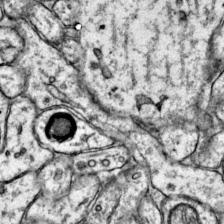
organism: Mouse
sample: Primary visual cortex